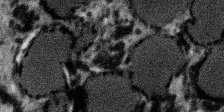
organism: Human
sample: Lung epithelial cells infected with SARS-CoV-2